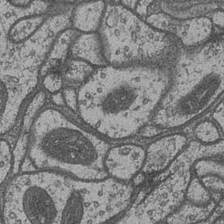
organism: Drosophila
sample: Optic medulla